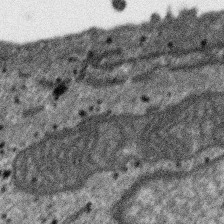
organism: Human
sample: Lung epithelial cells infected with SARS-CoV-2